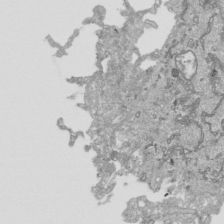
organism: Human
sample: Mitochondria in HCT116 cells